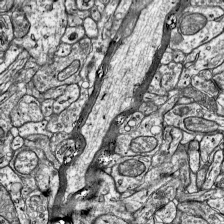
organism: Mouse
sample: Visual Cortex